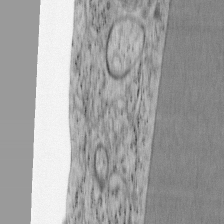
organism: Human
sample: HeLa cells